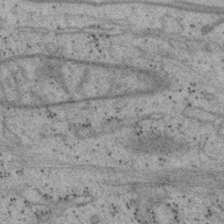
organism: Human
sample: HeLa cells